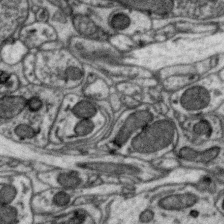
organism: Zebra finch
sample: Brain